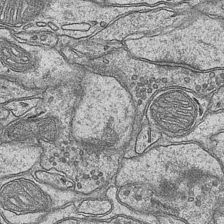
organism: Mouse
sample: CA1 Hippocampus